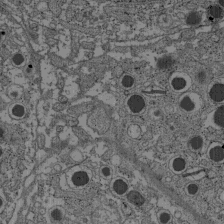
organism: C57BL Mouse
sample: Pancreatic islet